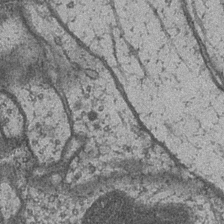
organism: Drosophila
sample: Optic medulla